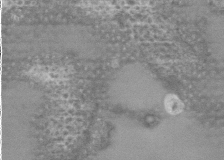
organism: Human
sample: Cilia; basal body in RPE cells